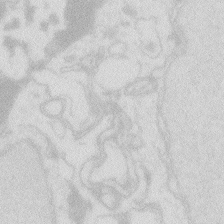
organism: Zebrafish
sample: Macrophage